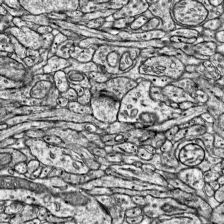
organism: Mouse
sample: Visual Cortex